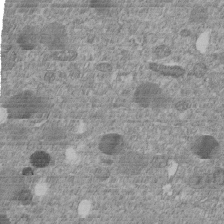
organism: C. elegans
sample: C. elegans embryo early stage